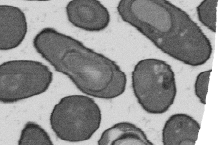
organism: B. subtilis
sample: Bacterial spore